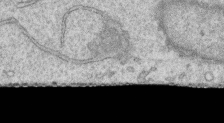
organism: Human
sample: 1205lu cells